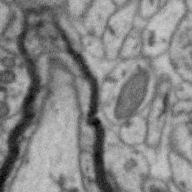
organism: Zebra finch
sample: Brain